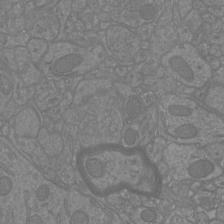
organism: Mouse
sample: Cortical neurons